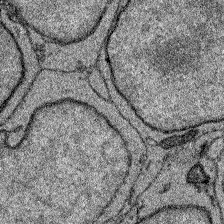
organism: Zebrafish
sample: Larval olfactory bulb